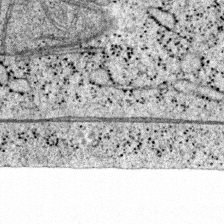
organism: Human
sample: HeLa cells